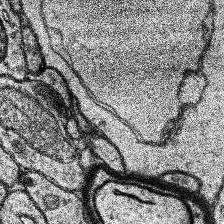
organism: Human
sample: Temporal Lobe